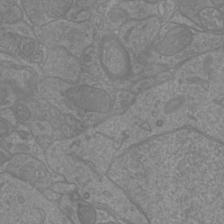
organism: Mouse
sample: Cortical neurons